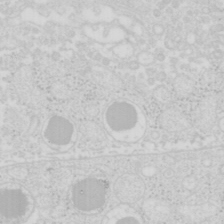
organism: Mouse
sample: Pancreas